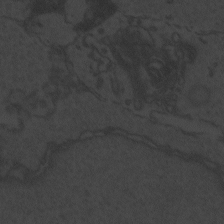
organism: Zebrafish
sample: Macrophage infected with Toxoplasma gondii